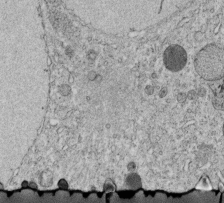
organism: C. elegans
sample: C. elegans embryo early stage